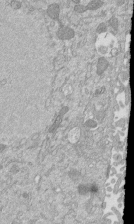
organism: Mouse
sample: ED-1 cell nuclei; centrioles